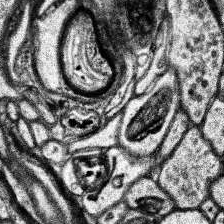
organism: Human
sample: Temporal Lobe